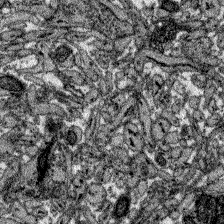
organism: Zebrafish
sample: Larval olfactory bulb